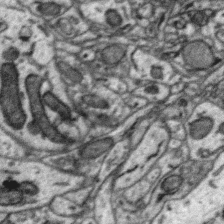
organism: Zebra finch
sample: Brain